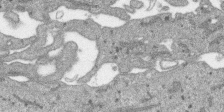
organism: Human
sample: Lung epithelial cells infected with SARS-CoV-2